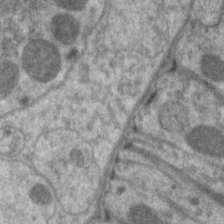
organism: C. elegans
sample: Pharynx